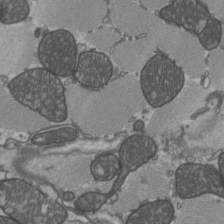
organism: C57BL Mouse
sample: Heart